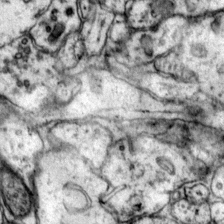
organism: Mouse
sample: Primary visual cortex